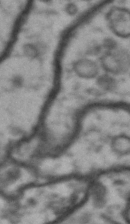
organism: Drosophila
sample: Brain